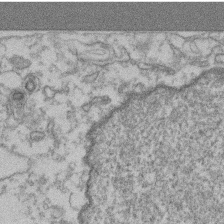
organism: Mouse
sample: T cell stromal cell synapse